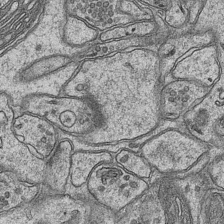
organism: Mouse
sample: CA1 Hippocampus